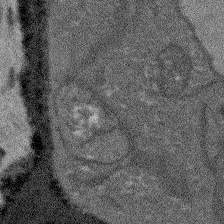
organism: Arabidopsis thaliana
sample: Root tip